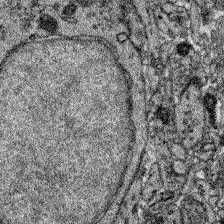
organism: Zebrafish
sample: Larval olfactory bulb